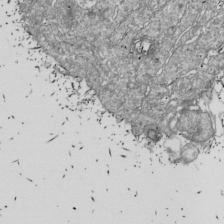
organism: Drosophila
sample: Cell division; meiosis; drosophila spermatocytes